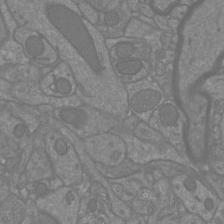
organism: Mouse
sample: Cortical neurons